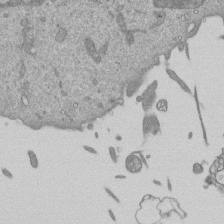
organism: Mouse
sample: ED-1 cell nuclei; centrioles